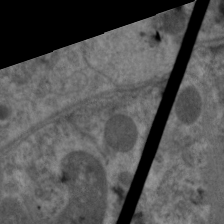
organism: C. elegans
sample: Pharynx